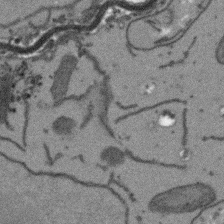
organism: Arabidopsis thaliana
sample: Root tip